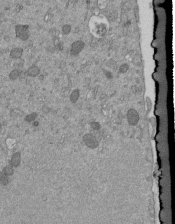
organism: Mouse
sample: ED-1 cell nuclei; centrioles